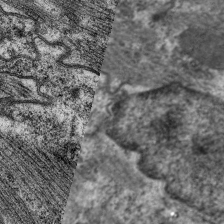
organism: C. elegans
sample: Pharynx